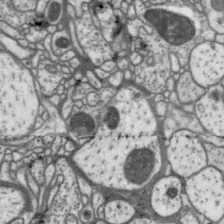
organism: Drosophila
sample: Protocerebral bridge